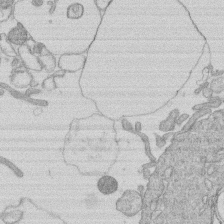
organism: Human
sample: Macrophage cells